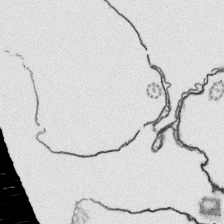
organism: Platynereis dumerilii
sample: Parapodia